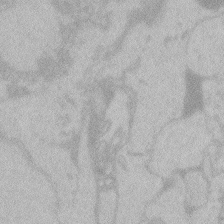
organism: Zebrafish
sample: Macrophage infected with Toxoplasma gondii